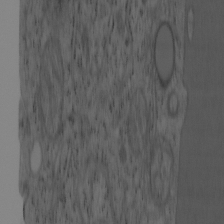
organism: Human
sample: HeLa cells